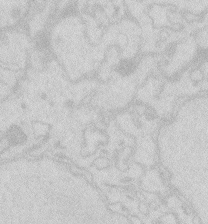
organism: Zebrafish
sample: Macrophage